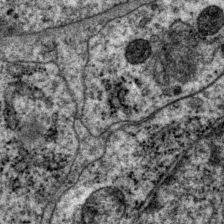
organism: P. pacificus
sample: Pharynx